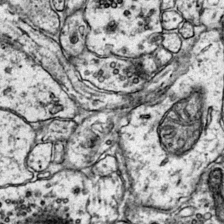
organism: Mouse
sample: Primary visual cortex